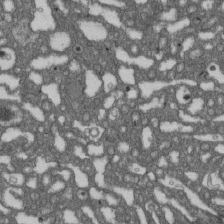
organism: Drosophila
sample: Nephrocyte